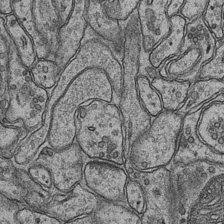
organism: Mouse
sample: CA1 Hippocampus